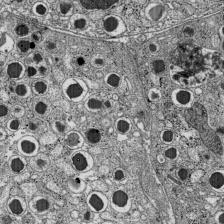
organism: C57BL Mouse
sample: Pancreatic islet